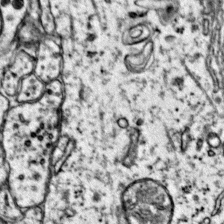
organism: Mouse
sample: Primary visual cortex